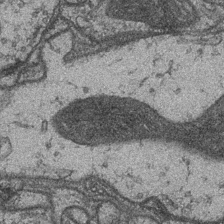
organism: Drosophila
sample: Optic medulla